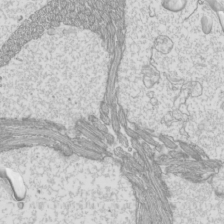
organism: Mouse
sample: Cilia; mouse epididymis